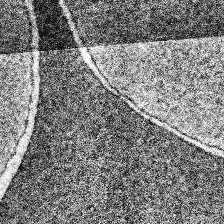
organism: Human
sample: Temporal Lobe